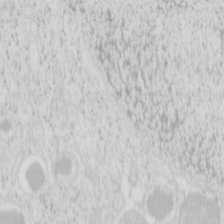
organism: Mouse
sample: Pancreas